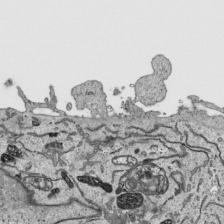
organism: Human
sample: Mitochondria in HCT116 cells